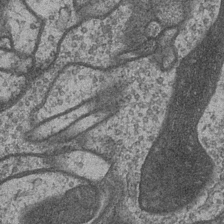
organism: Drosophila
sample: Optic medulla